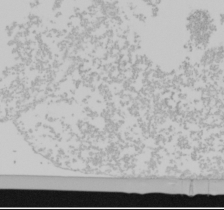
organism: Mouse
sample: Cancer cell death in ED-1 cells